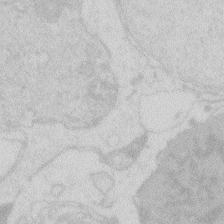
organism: Zebrafish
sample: Macrophage